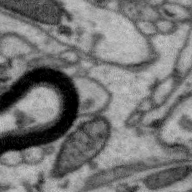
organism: Zebra finch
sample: Brain